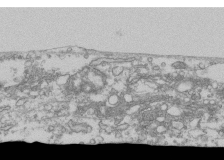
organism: Human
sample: Fibroblast cells